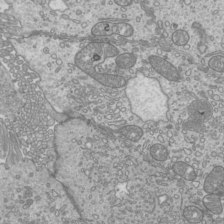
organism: Mouse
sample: Cilia; mouse epididymis